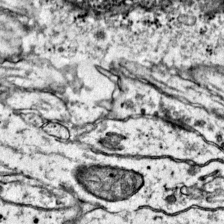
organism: Mouse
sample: Primary visual cortex